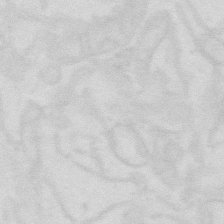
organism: Human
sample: HeLa cells